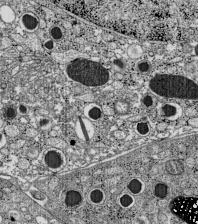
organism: C57BL Mouse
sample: Pancreatic islet